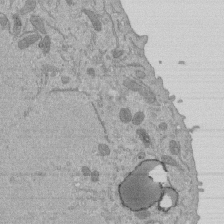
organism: Mouse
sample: ED-1 cell nuclei; centrioles